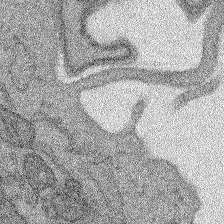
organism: Human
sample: HeLa cells